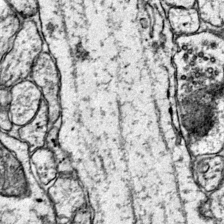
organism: Mouse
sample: Primary visual cortex